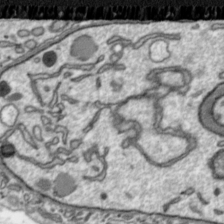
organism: Toxoplasma gondii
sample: Parasites in a vacuole inside a host cell